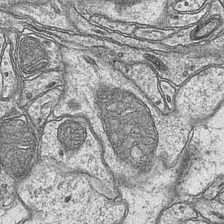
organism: Mouse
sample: CA1 Hippocampus